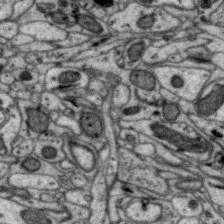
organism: Zebra finch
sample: Brain